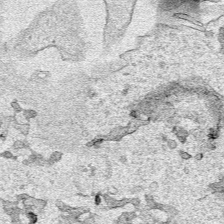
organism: Human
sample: Mitochondria in HCT116 cells